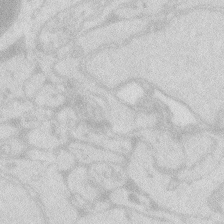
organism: Zebrafish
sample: Macrophage